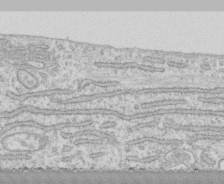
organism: Human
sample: CRL-1474